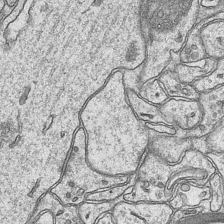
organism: Mouse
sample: CA1 Hippocampus